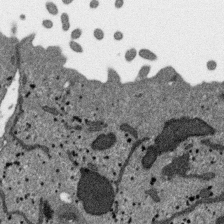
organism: Human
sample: Lung epithelial cells, uninfected (mock) control